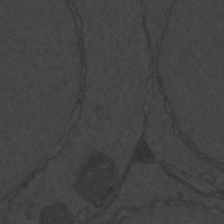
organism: Zebrafish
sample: Macrophage infected with Toxoplasma gondii